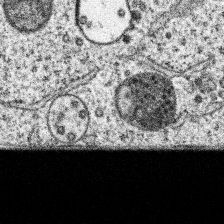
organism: Human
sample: HeLa cells